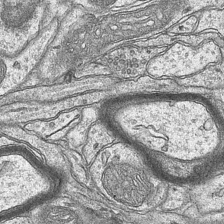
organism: Mouse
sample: CA1 Hippocampus